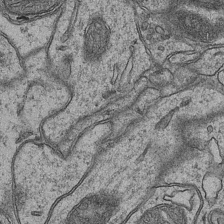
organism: Mouse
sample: CA1 Hippocampus